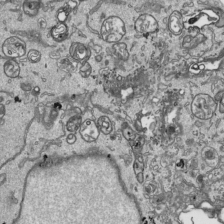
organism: Human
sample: Mitochondria in HCT116 cells